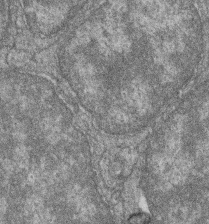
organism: Zebrafish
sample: Cilia; retinal pigment epithelium